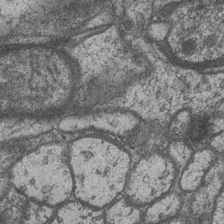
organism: Drosophila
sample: Optic medulla